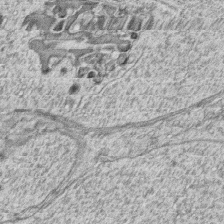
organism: Zebrafish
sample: synaptic ribbons in rod cells and cone cells